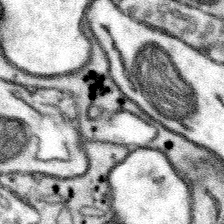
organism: Mouse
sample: Somatosensory cortex neuropil